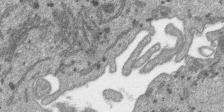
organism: Human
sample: Lung epithelial cells infected with SARS-CoV-2